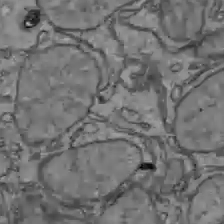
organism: C57BL Mouse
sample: Liver